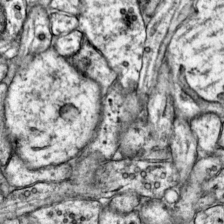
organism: Mouse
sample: Primary visual cortex